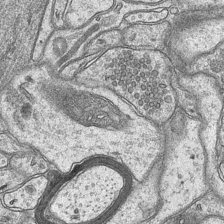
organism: Mouse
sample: CA1 Hippocampus